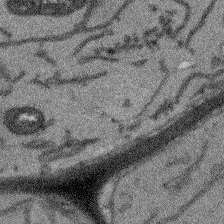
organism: Arabidopsis thaliana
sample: Root tip